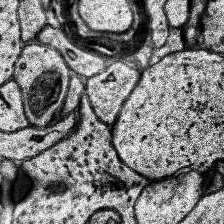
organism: Human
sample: Temporal Lobe